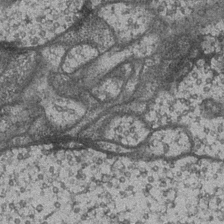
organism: Drosophila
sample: Optic medulla